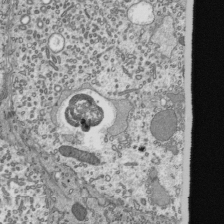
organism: Mouse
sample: Mouse epididymis efferent ductule cilia